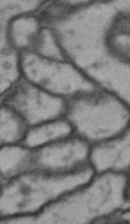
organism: Drosophila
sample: Brain